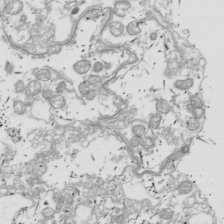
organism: Drosophila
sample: Cell division; meiosis; drosophila spermatocytes